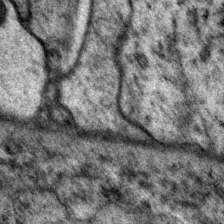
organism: P. pacificus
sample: Pharynx